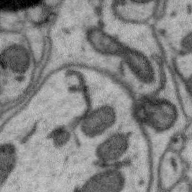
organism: Zebra finch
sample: Brain